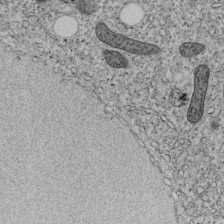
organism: C. elegans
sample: C. elegans embryo early stage